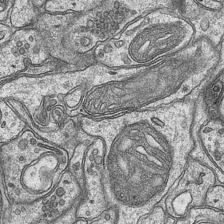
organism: Mouse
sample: CA1 Hippocampus